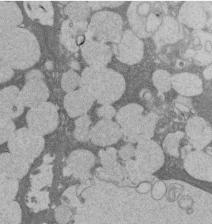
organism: Rat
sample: Salivary granule